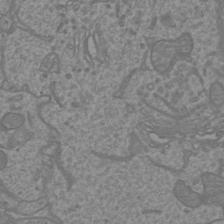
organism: Mouse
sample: Cortical neurons